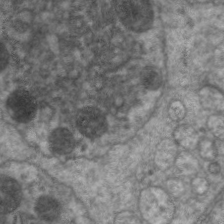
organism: C. elegans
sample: Pharynx